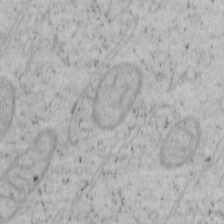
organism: Human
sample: HeLa cells